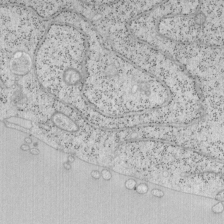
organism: Mouse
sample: OT-I killer T cells with ID8 ovarian cancer cells